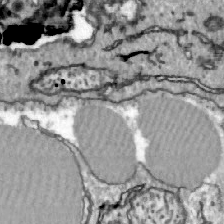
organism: Zebrafish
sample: Actinotrichia fibers